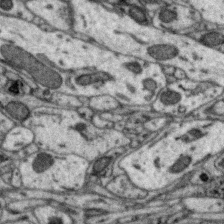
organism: Zebra finch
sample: Brain